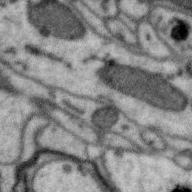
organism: Zebra finch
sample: Brain